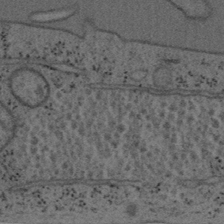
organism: Human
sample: HeLa cells